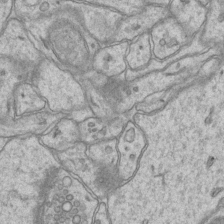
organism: Mouse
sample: CA1 Hippocampus